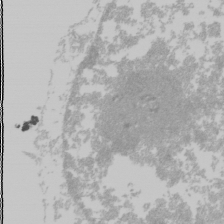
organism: Mouse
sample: Cancer cell death in ED-1 cells